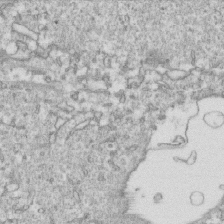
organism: Mouse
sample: Activated OT-1 CD8+ T cells